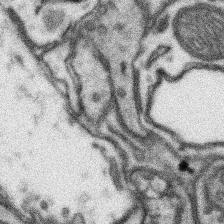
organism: Mouse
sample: Somatosensory cortex neuropil